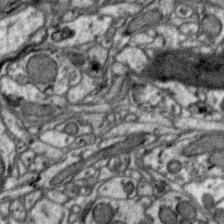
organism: Zebra finch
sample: Brain